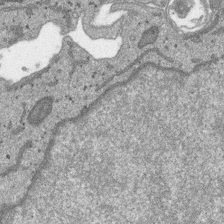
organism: Human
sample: Lung epithelial cells infected with SARS-CoV-2